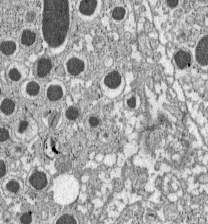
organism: C57BL Mouse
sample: Pancreatic islet